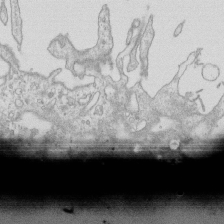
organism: Mouse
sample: Macrophages